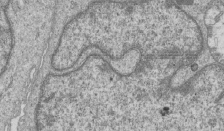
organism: Human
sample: MDA-MB-231 cells